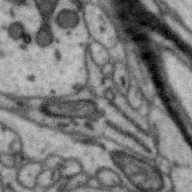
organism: Zebra finch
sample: Brain